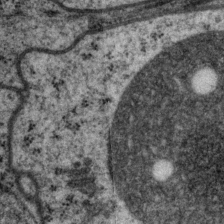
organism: P. pacificus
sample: Pharynx